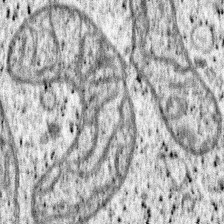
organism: Human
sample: HeLa cells